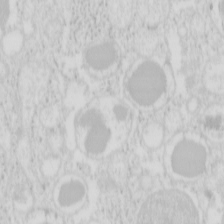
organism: Mouse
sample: Pancreas